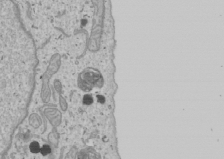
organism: Human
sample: Mitochondria in U2OS cells